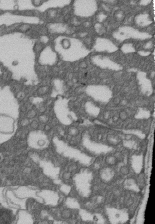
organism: Drosophila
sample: Nephrocyte